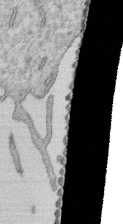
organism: Human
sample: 1205lu cells